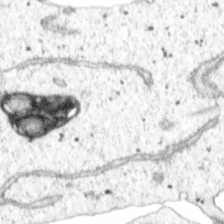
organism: Human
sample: HeLa cells